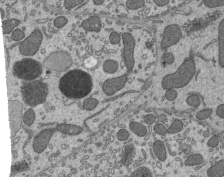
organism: Mouse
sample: Mouse epididymis efferent ductule cilia